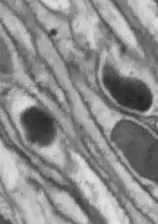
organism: Drosophila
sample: Optic lobe